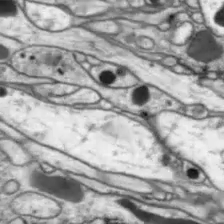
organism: Drosophila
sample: Optic lobe